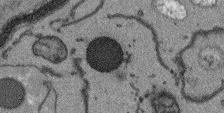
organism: Arabidopsis thaliana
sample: Root tip